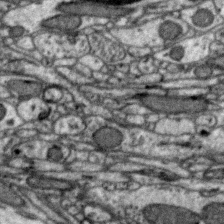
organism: Zebra finch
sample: Brain